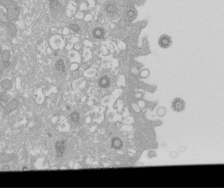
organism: Xenopus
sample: Cilia; centrioles in frog embryo cells